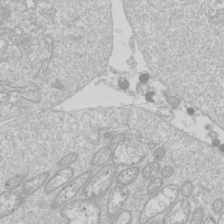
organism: Drosophila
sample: Cell division; meiosis; drosophila spermatocytes